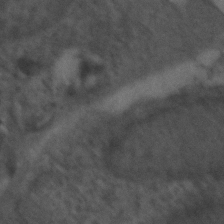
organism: Zebrafish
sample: Zebrafish embryo